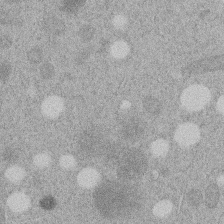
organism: C. elegans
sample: C. elegans embryo early stage